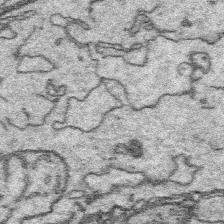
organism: Platynereis dumerilii